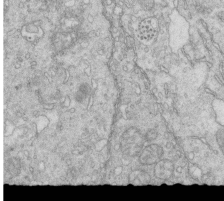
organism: Mouse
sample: Multiciliated cells